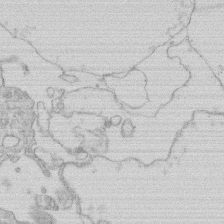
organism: Human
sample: Macrophage cells